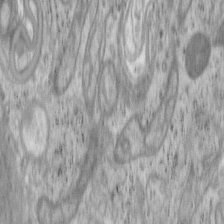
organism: Human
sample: HeLa cells